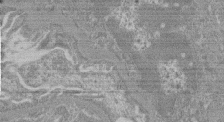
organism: Mouse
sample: Glomerulus